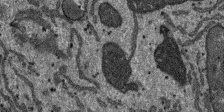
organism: Human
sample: Lung epithelial cells infected with SARS-CoV-2